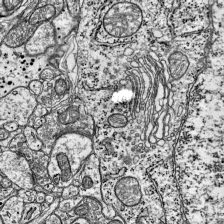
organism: Mouse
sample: Visual Cortex